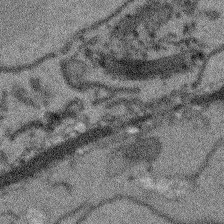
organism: Arabidopsis thaliana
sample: Root tip